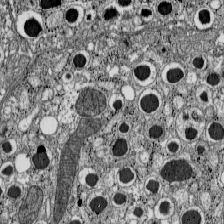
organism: C57BL Mouse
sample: Pancreatic islet